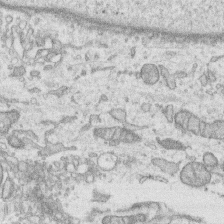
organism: Human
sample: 1205lu cells